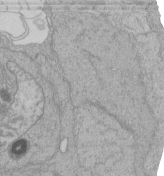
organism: Human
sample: Retinal organoid Rod and Cone cells